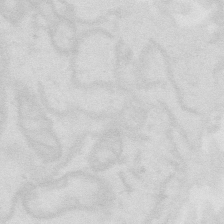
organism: Human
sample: HeLa cells